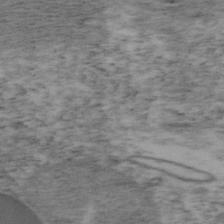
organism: Mouse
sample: OT-I killer T cells with ID8 ovarian cancer cells